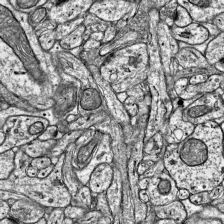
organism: Mouse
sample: Visual Cortex